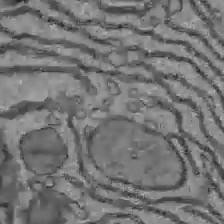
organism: C57BL Mouse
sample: Liver